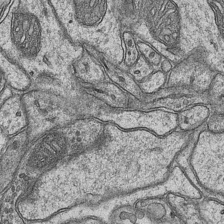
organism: Mouse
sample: CA1 Hippocampus